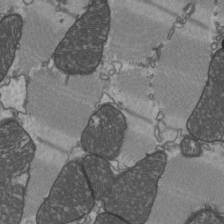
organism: C57BL Mouse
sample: Heart